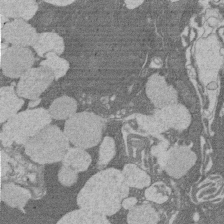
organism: Rat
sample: Salivary granule